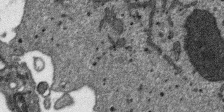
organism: Human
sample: Lung epithelial cells infected with SARS-CoV-2